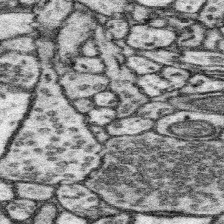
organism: Mouse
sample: Somatosensory cortex neuropil